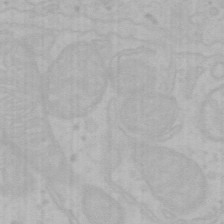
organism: Mouse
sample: Choroid plexus